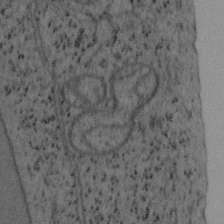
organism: Human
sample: HeLa cells